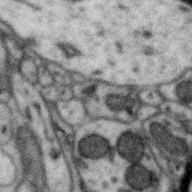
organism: Zebra finch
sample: Brain